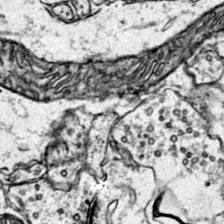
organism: Mouse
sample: Primary visual cortex